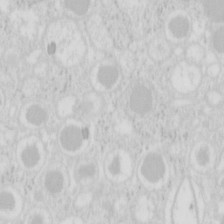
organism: Mouse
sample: Pancreas